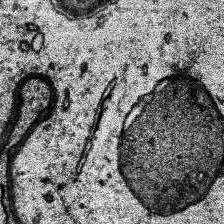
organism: Human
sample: Temporal Lobe